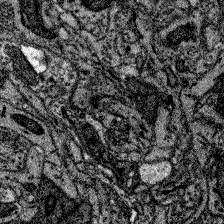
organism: Zebrafish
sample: Larval olfactory bulb